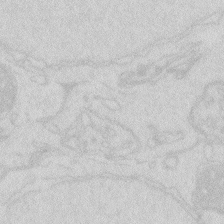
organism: Zebrafish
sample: Macrophage